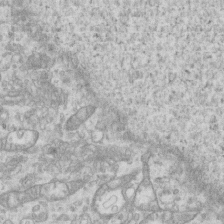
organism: Mouse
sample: Centriole in ependymal cells